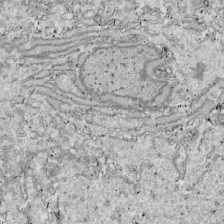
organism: Drosophila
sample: Cell division; meiosis; drosophila spermatocytes